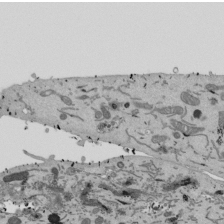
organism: Mouse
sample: ED-1 cell nuclei; centrioles